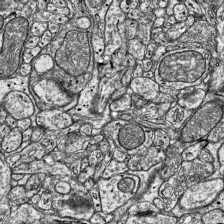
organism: Mouse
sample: Visual Cortex